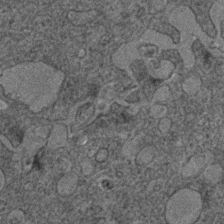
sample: Trachea